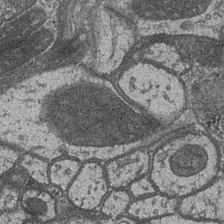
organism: Drosophila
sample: Optic medulla